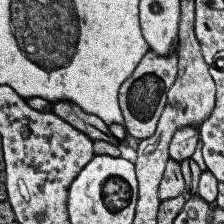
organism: Human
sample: Temporal Lobe